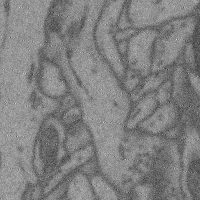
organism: Mouse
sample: Cerebral cortex